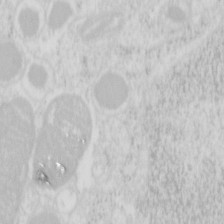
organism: Mouse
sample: Pancreas